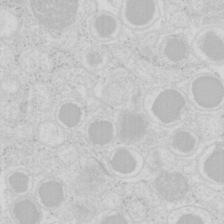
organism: Mouse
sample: Pancreas